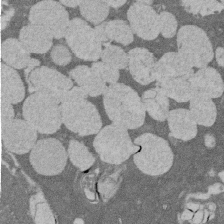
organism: Rat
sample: Salivary granule